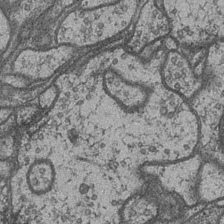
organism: Drosophila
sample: Optic medulla